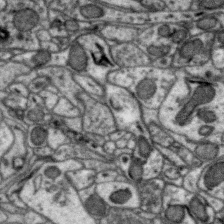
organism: Zebra finch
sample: Brain